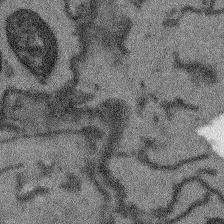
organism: Arabidopsis thaliana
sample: Root tip